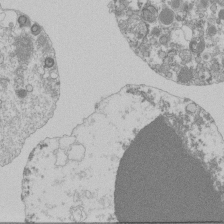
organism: Mouse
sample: Activated Pmel transgenic CD8+ T Cells